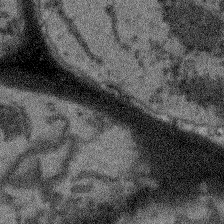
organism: Arabidopsis thaliana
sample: Root tip